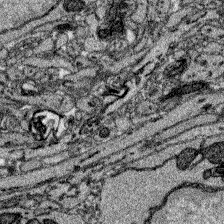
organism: Zebrafish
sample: Larval olfactory bulb